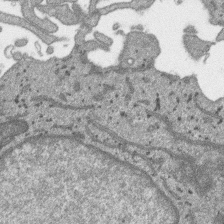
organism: Human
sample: Lung epithelial cells infected with SARS-CoV-2